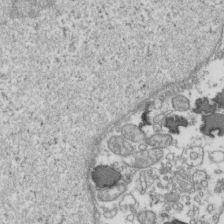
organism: Human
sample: Activated Jurkat CD4+ T cells